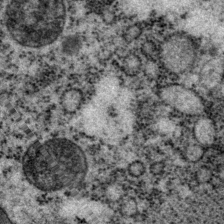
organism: P. pacificus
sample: Pharynx